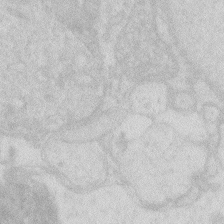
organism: Zebrafish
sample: Macrophage